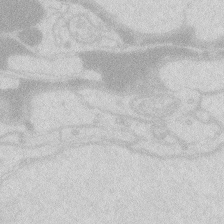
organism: Zebrafish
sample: Macrophage